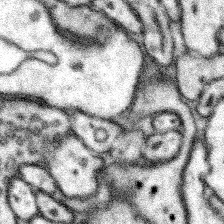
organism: Mouse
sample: Somatosensory cortex neuropil